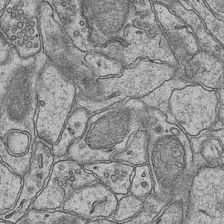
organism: Mouse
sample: CA1 Hippocampus